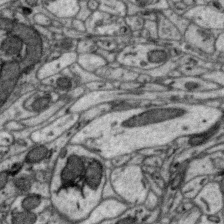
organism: Zebra finch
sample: Brain